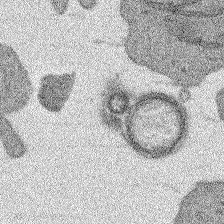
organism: Human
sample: HeLa cells